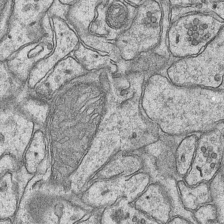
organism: Mouse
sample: CA1 Hippocampus